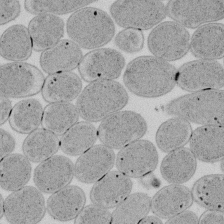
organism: E. coli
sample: Bacterial nucleoid